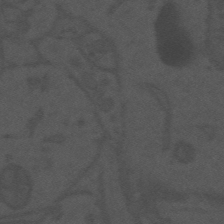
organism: Mouse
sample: Suprachiasmatic nucleus